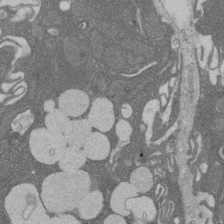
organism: Rat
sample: Salivary granule